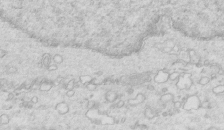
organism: Mouse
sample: Multiciliated cells